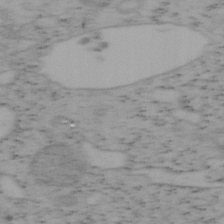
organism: Mouse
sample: OT-I killer T cells with ID8 ovarian cancer cells